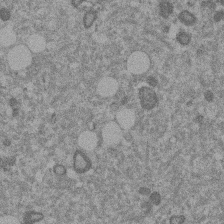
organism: Mouse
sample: Dividing mouse embryo 1 cell stage